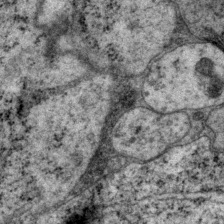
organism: P. pacificus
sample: Pharynx